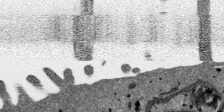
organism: Human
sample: Lung epithelial cells, uninfected (mock) control